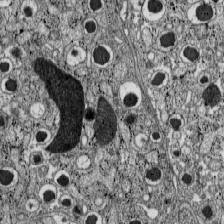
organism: C57BL Mouse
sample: Pancreatic islet